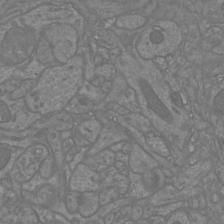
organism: Mouse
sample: Cortical neurons